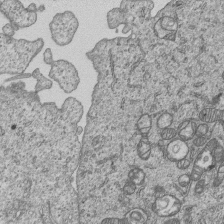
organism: Human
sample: MDA-MB-231 cells